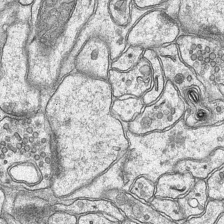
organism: Mouse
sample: CA1 Hippocampus